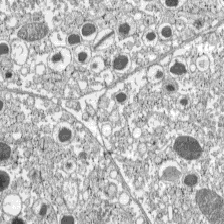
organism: C57BL Mouse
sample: Pancreatic islet